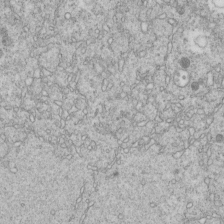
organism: C. elegans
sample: C. elegans embryo early stage